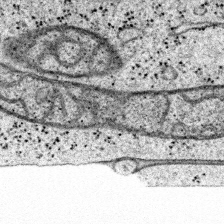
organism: Human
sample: HeLa cells